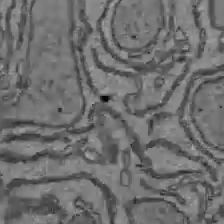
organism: C57BL Mouse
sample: Liver